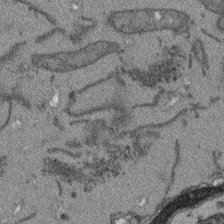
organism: Arabidopsis thaliana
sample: Root tip